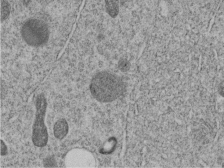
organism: C. elegans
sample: C. elegans embryo early stage